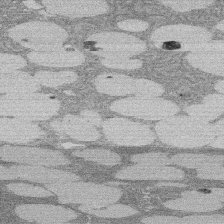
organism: Rat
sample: Salivary granule